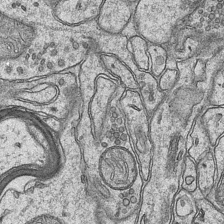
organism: Mouse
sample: CA1 Hippocampus